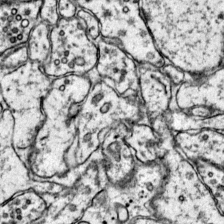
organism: Mouse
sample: Primary visual cortex